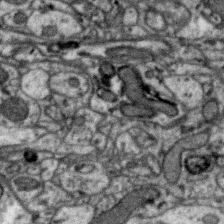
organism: Zebra finch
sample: Brain